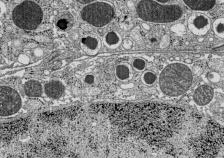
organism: C57BL Mouse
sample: Pancreatic islet